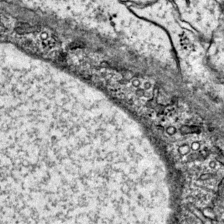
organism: Mouse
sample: Primary visual cortex